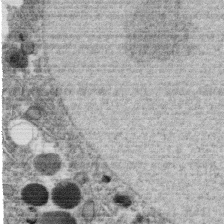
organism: C. elegans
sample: C. elegans oocyte; sperm cells